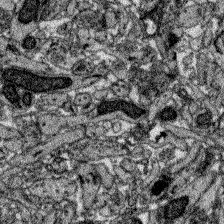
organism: Zebrafish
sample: Larval olfactory bulb